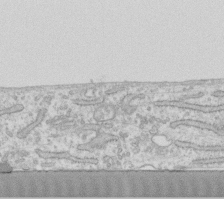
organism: Human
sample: Fibroblast cells